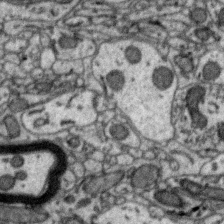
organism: Zebra finch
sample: Brain